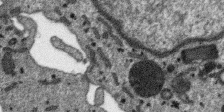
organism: Human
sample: Lung epithelial cells infected with SARS-CoV-2